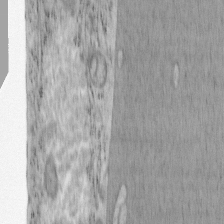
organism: Human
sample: HeLa cells